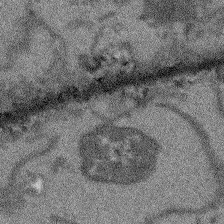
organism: Arabidopsis thaliana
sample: Root tip